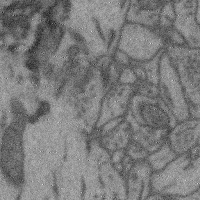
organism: Mouse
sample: Cerebral cortex